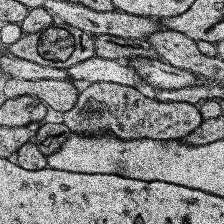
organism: Human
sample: Temporal Lobe